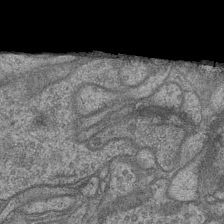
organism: Drosophila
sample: Optic medulla